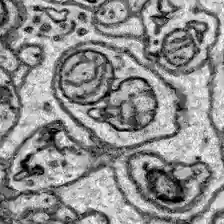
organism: Zebrafish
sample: Brain